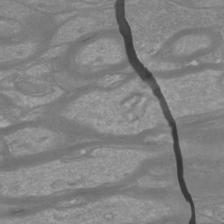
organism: Mouse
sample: Cortical neurons